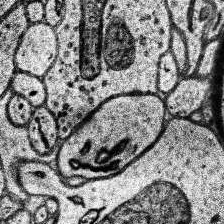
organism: Human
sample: Temporal Lobe